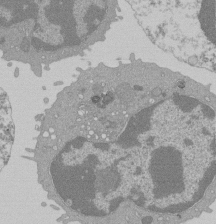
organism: Mouse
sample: Activated Pmel transgenic CD8+ T Cells